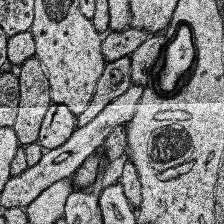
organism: Human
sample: Temporal Lobe